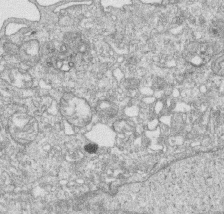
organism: Human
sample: HeLa cell HIV synapse